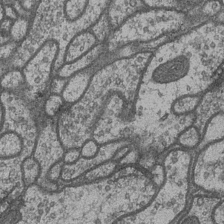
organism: Drosophila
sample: Optic medulla